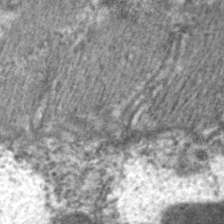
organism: C. elegans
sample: Pharynx